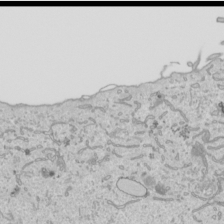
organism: Human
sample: Mitochondria in HCT116 cells